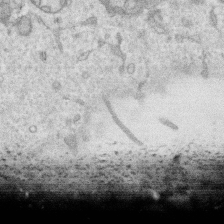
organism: Human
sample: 1205lu cells